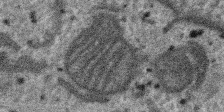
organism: Human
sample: Lung epithelial cells infected with SARS-CoV-2